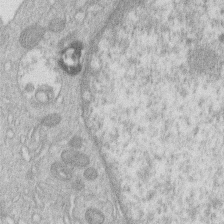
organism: Human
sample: Macrophage cells